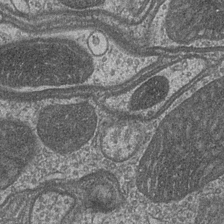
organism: Drosophila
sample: Optic medulla